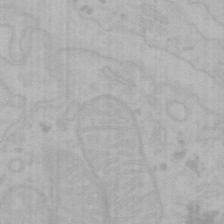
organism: Mouse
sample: Choroid plexus